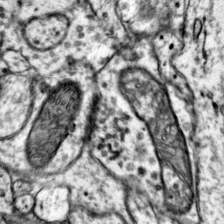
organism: Mouse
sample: Primary visual cortex